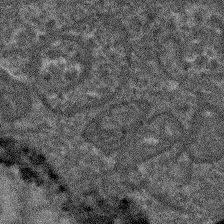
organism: Arabidopsis thaliana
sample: Root tip